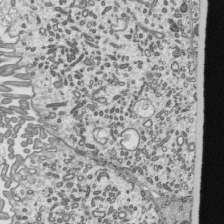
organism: Mouse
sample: Mouse epididymis efferent ductule cilia